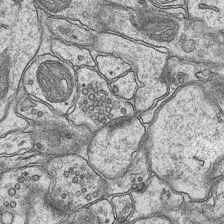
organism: Mouse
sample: CA1 Hippocampus